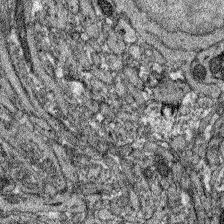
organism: Zebrafish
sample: Larval olfactory bulb